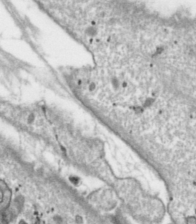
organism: Toxoplasma gondii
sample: Parasites in a vacuole inside a host cell